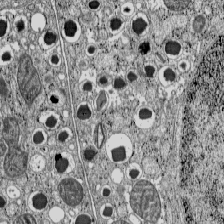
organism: C57BL Mouse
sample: Pancreatic islet